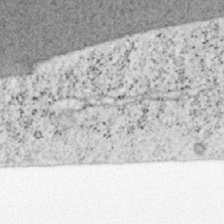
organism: Mouse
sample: OT-I killer T cells with ID8 ovarian cancer cells